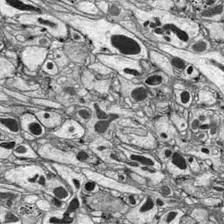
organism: Drosophila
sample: Optic lobe